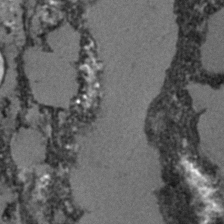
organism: C. elegans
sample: C. elegans embryo